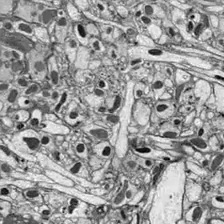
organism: Drosophila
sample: Optic lobe